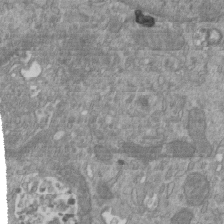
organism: Mouse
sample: ED-1 cell nuclei; centrioles